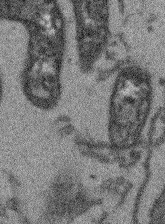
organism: Arabidopsis thaliana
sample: Root tip